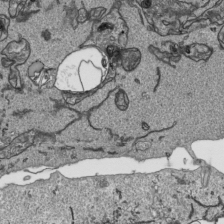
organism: Human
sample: Mitochondria in HCT116 cells